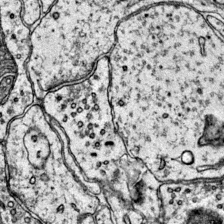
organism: Mouse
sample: Primary visual cortex